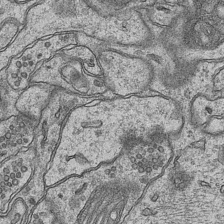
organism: Mouse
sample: CA1 Hippocampus